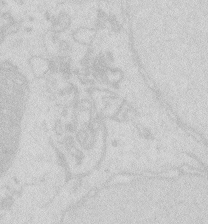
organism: Zebrafish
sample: Macrophage